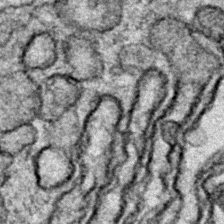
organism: Zebrafish